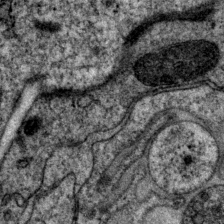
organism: P. pacificus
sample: Pharynx